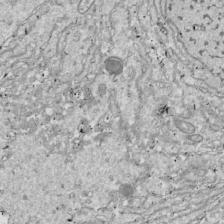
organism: Drosophila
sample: Cell division; meiosis; drosophila spermatocytes